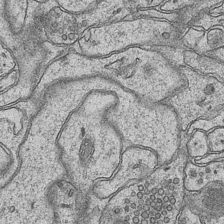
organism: Mouse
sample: CA1 Hippocampus